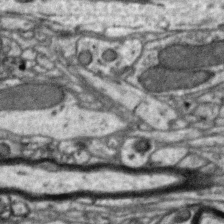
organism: Zebra finch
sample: Brain